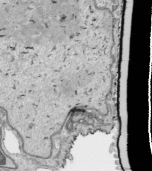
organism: Human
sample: Mitochondria in HCT116 cells